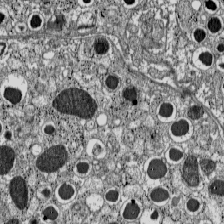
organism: C57BL Mouse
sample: Pancreatic islet